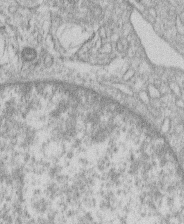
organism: Human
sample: Macrophage cells